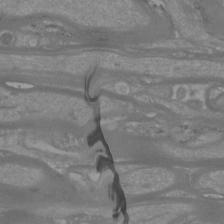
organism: Mouse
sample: Cortical neurons